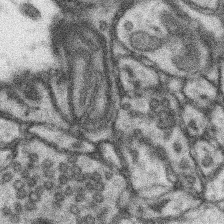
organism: Mouse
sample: Somatosensory cortex neuropil